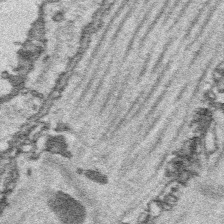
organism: Platynereis dumerilii